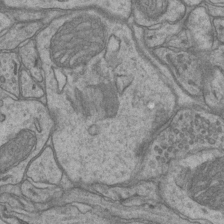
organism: Mouse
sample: CA1 Hippocampus